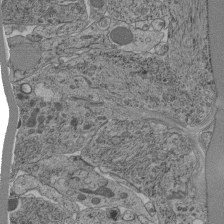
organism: C. elegans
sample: C. elegans pharynx